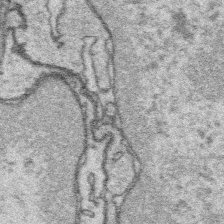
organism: Platynereis dumerilii